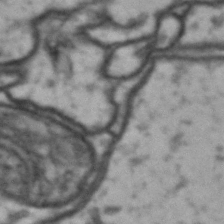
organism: Drosophila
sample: Brain